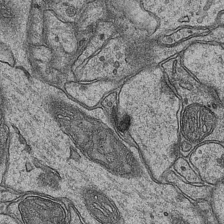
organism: Mouse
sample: CA1 Hippocampus